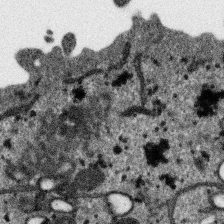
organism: Human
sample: Lung epithelial cells infected with SARS-CoV-2